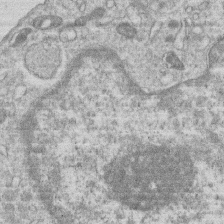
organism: Human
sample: Macrophage cells